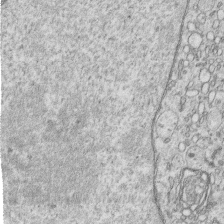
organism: Human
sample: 1205lu cells